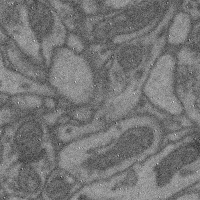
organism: Mouse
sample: Cerebral cortex